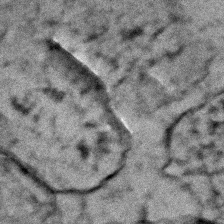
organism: Zebrafish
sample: Zebrafish embryo